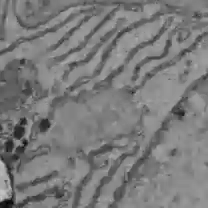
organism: C57BL Mouse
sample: Liver